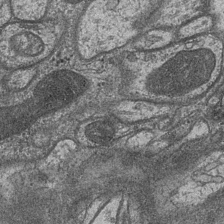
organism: Drosophila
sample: Optic medulla